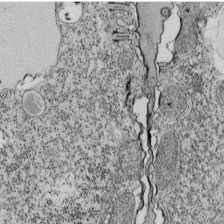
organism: Tetrahymena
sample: Cilia in tetrahymena